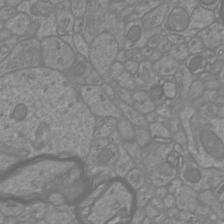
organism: Mouse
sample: Cortical neurons